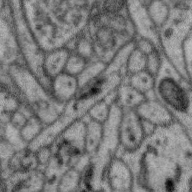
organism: Zebra finch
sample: Brain